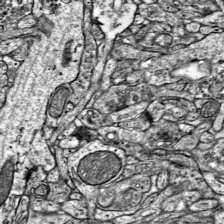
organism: Mouse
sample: Visual Cortex